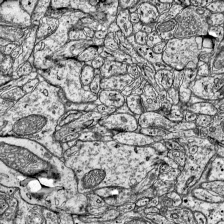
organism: Mouse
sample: Visual Cortex